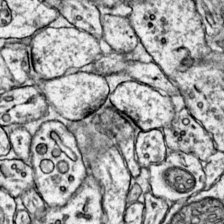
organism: Mouse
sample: Primary visual cortex